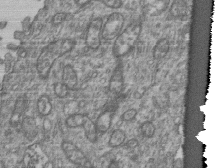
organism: Human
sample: Retinal organoid Rod and Cone cells